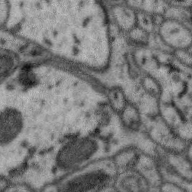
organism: Zebra finch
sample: Brain